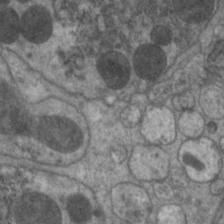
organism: C. elegans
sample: Pharynx